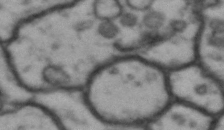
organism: Drosophila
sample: Brain